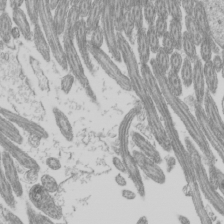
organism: Mouse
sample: Cilia; mouse epididymis